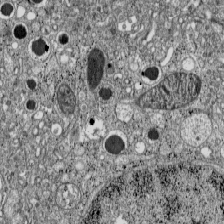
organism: C57BL Mouse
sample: Pancreatic islet